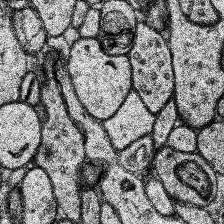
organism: Human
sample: Temporal Lobe